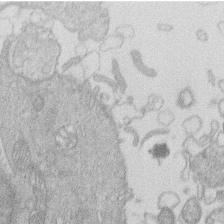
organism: Human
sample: Macrophage cells